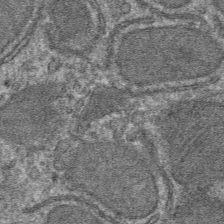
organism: Mouse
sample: Mouse hepatocytes